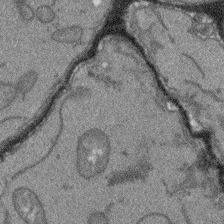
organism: Arabidopsis thaliana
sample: Root tip